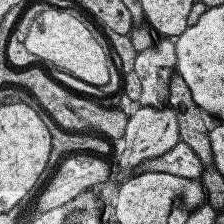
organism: Human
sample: Temporal Lobe